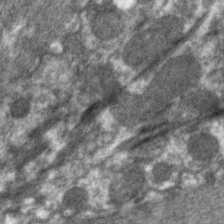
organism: C. elegans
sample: Pharynx